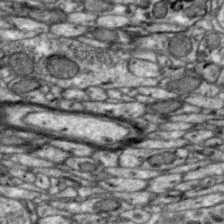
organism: Zebra finch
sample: Brain